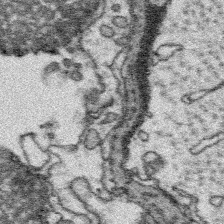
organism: Platynereis dumerilii